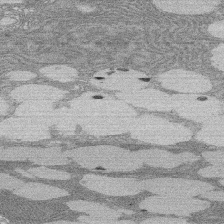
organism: Rat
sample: Salivary granule